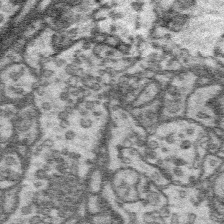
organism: Platynereis dumerilii